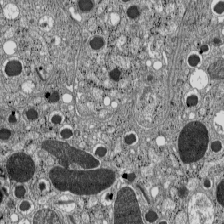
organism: C57BL Mouse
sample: Pancreatic islet